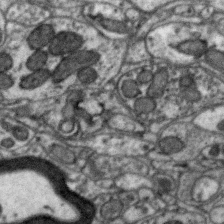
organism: Zebra finch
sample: Brain